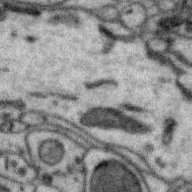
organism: Zebra finch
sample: Brain